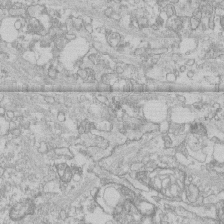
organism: Human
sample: CRL-1474